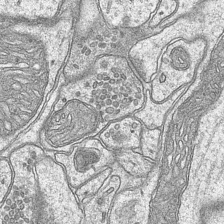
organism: Mouse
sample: CA1 Hippocampus